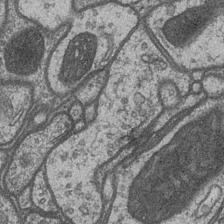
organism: Drosophila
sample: Optic medulla